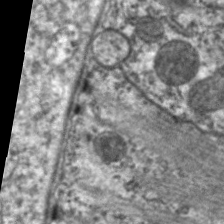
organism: C. elegans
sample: Pharynx